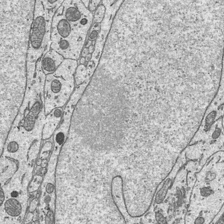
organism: Mouse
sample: Suprachiasmatic nucleus